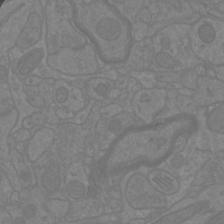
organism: Mouse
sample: Cortical neurons